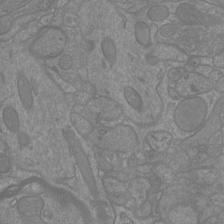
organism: Mouse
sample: Cortical neurons